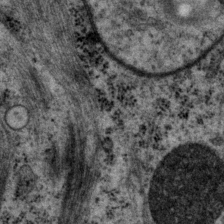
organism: P. pacificus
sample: Pharynx